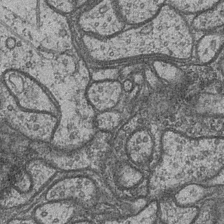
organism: Drosophila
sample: Optic medulla